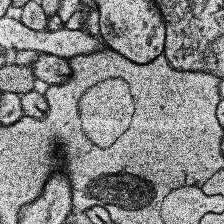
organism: Human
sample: Temporal Lobe